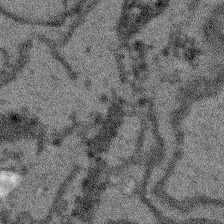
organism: Arabidopsis thaliana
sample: Root tip